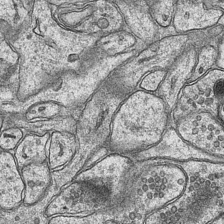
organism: Mouse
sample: CA1 Hippocampus